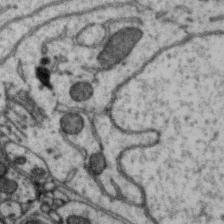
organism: Zebra finch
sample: Brain